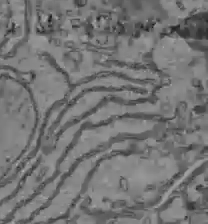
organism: C57BL Mouse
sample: Liver